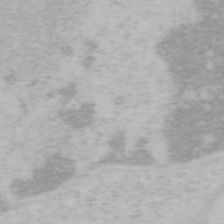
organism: Mouse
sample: OT-I killer T cells with ID8 ovarian cancer cells